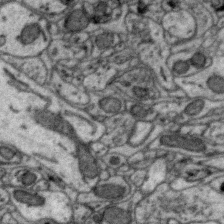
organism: Zebra finch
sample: Brain